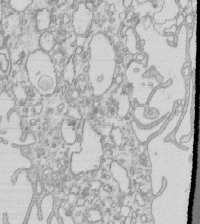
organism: Mouse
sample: Macrophages